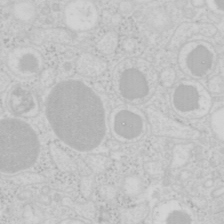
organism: Mouse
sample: Pancreas